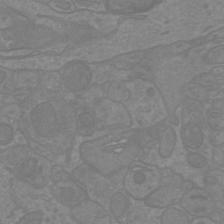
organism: Mouse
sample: Cortical neurons